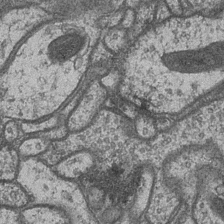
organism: Drosophila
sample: Optic medulla